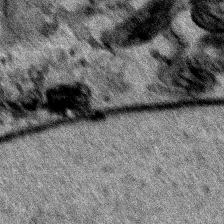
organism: Human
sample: Mitochondria in HCT116 cells